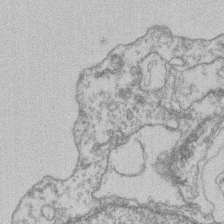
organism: Mouse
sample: T cell stromal cell synapse